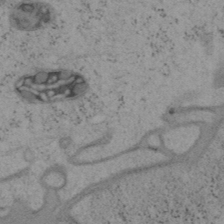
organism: Mouse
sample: OT-I killer T cells with ID8 ovarian cancer cells